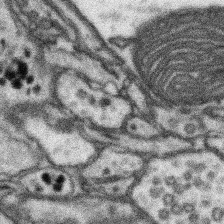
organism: Mouse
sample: Somatosensory cortex neuropil